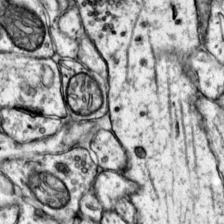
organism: Mouse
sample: Primary visual cortex